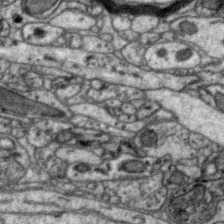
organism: Zebra finch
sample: Brain